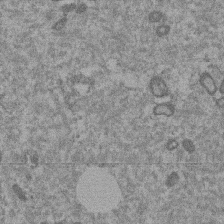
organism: Mouse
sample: Dividing mouse embryo 1 cell stage